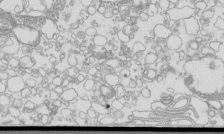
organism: Mouse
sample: Macrophages